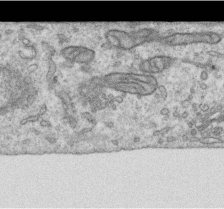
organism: Human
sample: Centriole in RPE cells